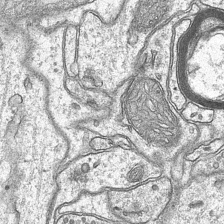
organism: Mouse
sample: CA1 Hippocampus